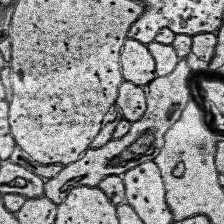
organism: Human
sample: Temporal Lobe